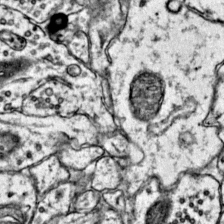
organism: Mouse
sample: Primary visual cortex